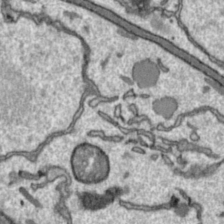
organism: Toxoplasma gondii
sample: Parasites in a vacuole inside a host cell